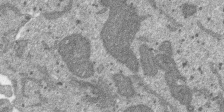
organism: Human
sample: Lung epithelial cells infected with SARS-CoV-2